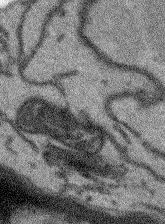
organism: Arabidopsis thaliana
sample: Root tip